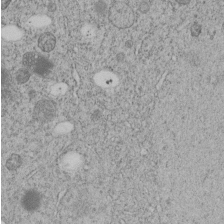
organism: C. elegans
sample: C. elegans embryo early stage